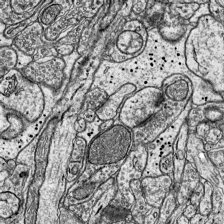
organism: Mouse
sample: Visual Cortex